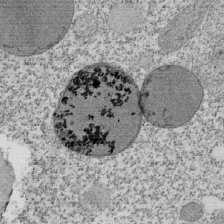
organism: Tetrahymena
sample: Cilia in tetrahymena